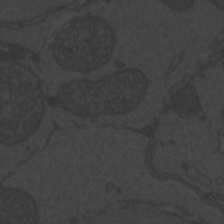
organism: Zebrafish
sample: Macrophage infected with Toxoplasma gondii